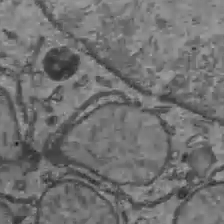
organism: C57BL Mouse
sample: Liver